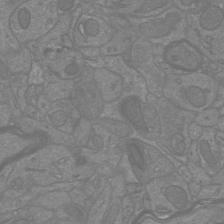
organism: Mouse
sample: Cortical neurons